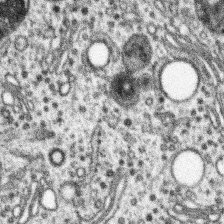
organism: Human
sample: HeLa cells